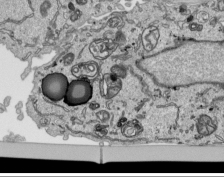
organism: Human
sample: Mitochondria in HCT116 cells